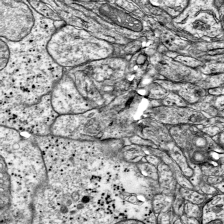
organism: Mouse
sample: Visual Cortex